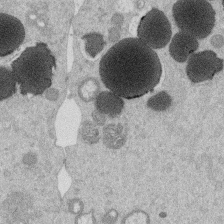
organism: Mouse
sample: Dividing mouse embryo 1 cell stage